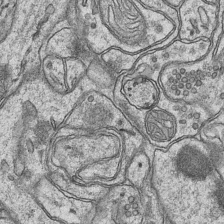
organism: Mouse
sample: CA1 Hippocampus